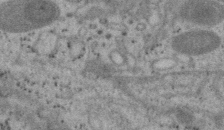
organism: Human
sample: HeLa cells